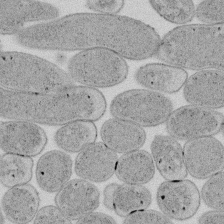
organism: E. coli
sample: Bacterial nucleoid